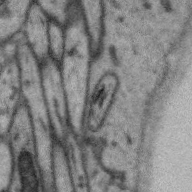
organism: Zebra finch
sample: Brain